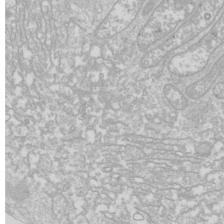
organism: Drosophila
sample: Cell division; meiosis; drosophila spermatocytes